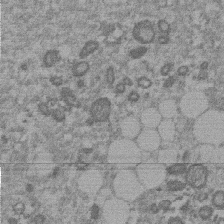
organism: Mouse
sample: Dividing mouse embryo 1 cell stage